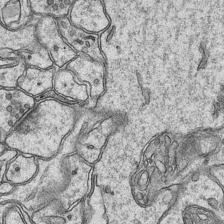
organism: Mouse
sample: CA1 Hippocampus